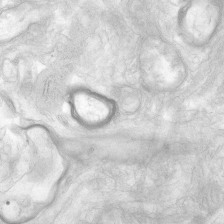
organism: Human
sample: Neocortex